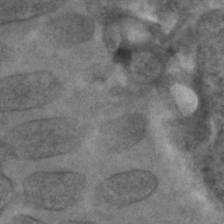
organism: C. elegans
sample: C. elegans embryo